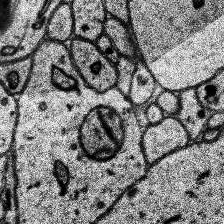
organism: Human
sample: Temporal Lobe